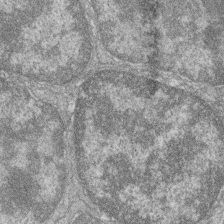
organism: Zebrafish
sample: Cilia; retinal pigment epithelium